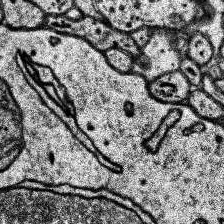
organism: Human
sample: Temporal Lobe